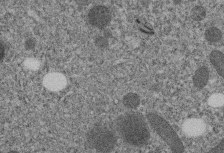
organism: C. elegans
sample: C. elegans embryo early stage